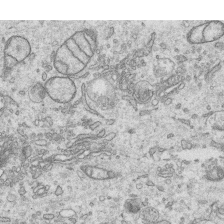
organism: Human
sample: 1205lu cells